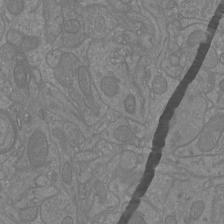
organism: Mouse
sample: Cortical neurons